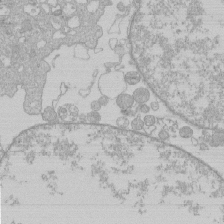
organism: Human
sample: Macrophage cells